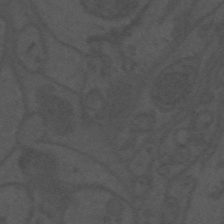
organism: Mouse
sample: Suprachiasmatic nucleus